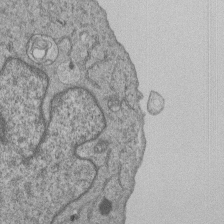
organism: Human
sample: MDA-MB-231 cells